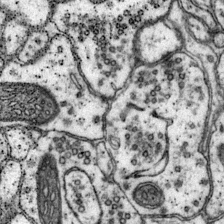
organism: Mouse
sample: Primary visual cortex